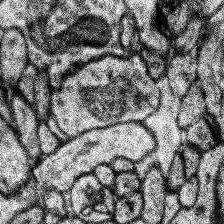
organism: Human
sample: Temporal Lobe